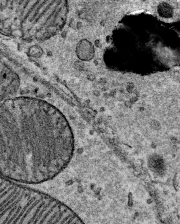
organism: Mouse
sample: Mouse Salivary gland